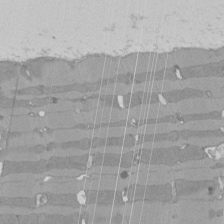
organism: Rat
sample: Left ventricle